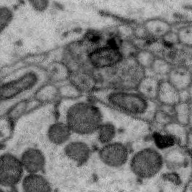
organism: Zebra finch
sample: Brain